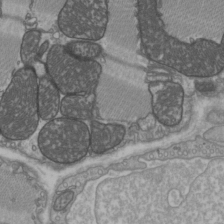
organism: C57BL Mouse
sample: Heart